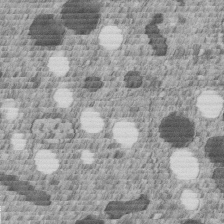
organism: C. elegans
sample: C. elegans embryo early stage